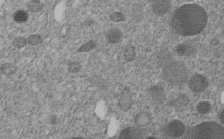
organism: C. elegans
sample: C. elegans embryo early stage